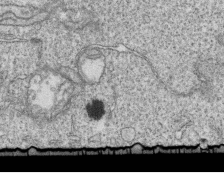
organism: Human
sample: HeLa cell HIV synapse